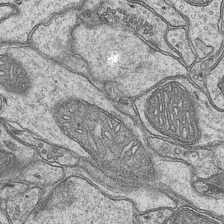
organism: Mouse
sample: CA1 Hippocampus